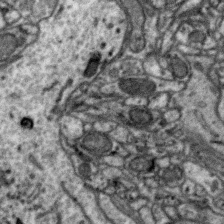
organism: Zebra finch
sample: Brain